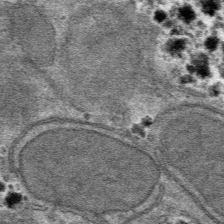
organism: Mouse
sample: Mouse hepatocytes